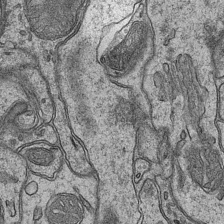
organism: Mouse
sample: CA1 Hippocampus